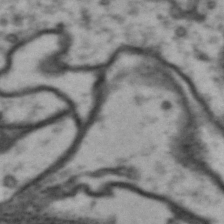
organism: Drosophila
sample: Brain